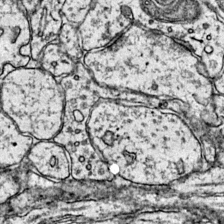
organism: Mouse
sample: Primary visual cortex